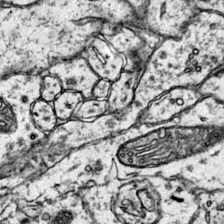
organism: Mouse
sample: Primary visual cortex